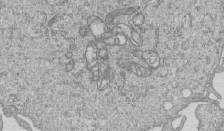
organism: Human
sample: MDA-MB-231 cells